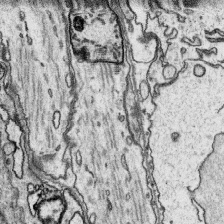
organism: Platynereis dumerilii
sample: Parapodia